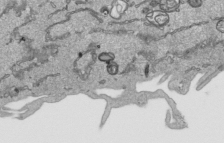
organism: Human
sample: Mitochondria in HCT116 cells